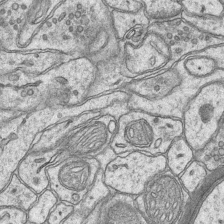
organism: Mouse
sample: CA1 Hippocampus